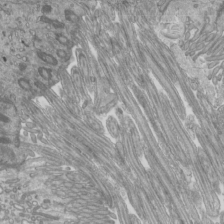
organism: Mouse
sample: Cilia; mouse epididymis